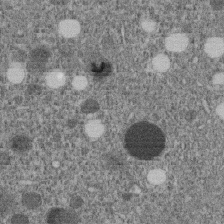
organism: C. elegans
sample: C. elegans embryo early stage